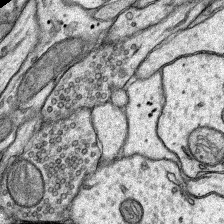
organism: Rat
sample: Hippocampus